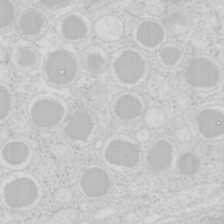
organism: Mouse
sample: Pancreas